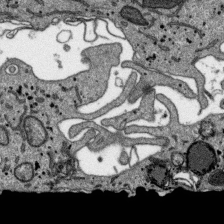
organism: Human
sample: Lung epithelial cells, uninfected (mock) control